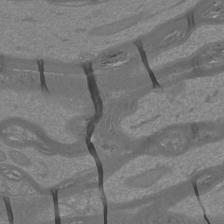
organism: Mouse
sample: Cortical neurons